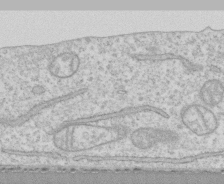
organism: Human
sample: CRL-1474